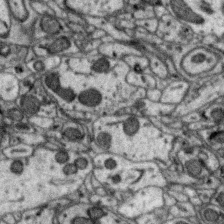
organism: Zebra finch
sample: Brain